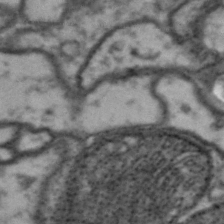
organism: Drosophila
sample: Brain